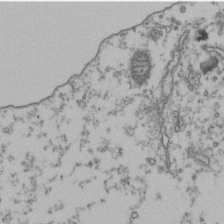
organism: Human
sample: Activated Jurkat CD4+ T cells